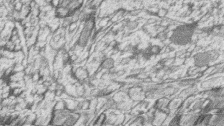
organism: Zebrafish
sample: synaptic ribbons in rod cells and cone cells